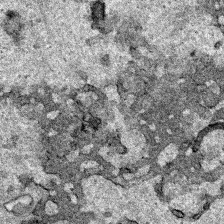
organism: Human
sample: Mitochondria in HCT116 cells